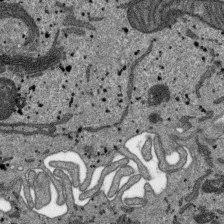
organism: Human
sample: Lung epithelial cells, uninfected (mock) control